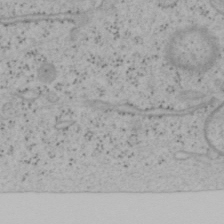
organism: Human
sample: HeLa cells